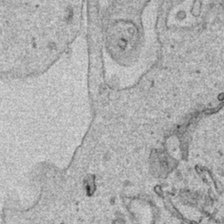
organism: Human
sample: Mitochondria in HCT116 cells